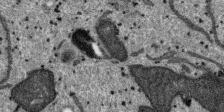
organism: Human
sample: Lung epithelial cells, uninfected (mock) control